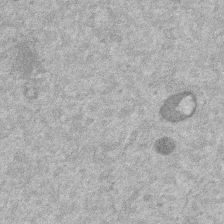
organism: Mouse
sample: Dividing mouse embryo 1 cell stage